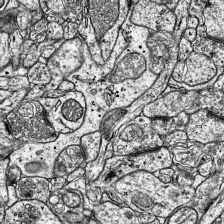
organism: Mouse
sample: Visual Cortex